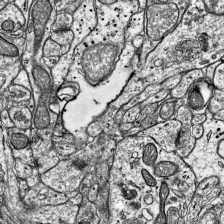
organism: Mouse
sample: Visual Cortex